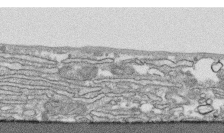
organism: Human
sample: CRL-1474